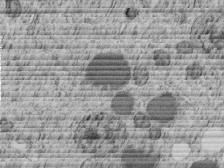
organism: C. elegans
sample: C. elegans embryo early stage